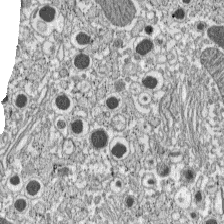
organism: C57BL Mouse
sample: Pancreatic islet